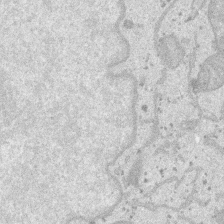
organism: Human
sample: Lung epithelial cells infected with SARS-CoV-2